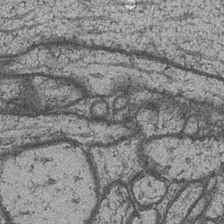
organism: Drosophila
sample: Optic medulla